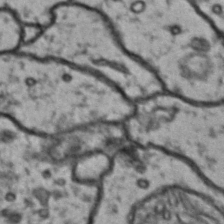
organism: Drosophila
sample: Brain